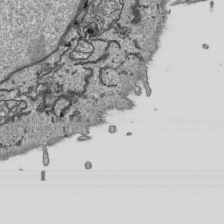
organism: Human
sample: Mitochondria in HCT116 cells